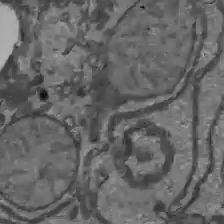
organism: C57BL Mouse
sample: Liver